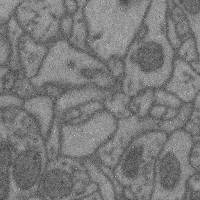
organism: Mouse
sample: Cerebral cortex